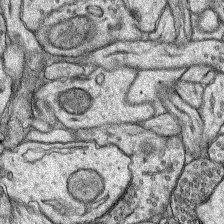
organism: Rat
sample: Hippocampus